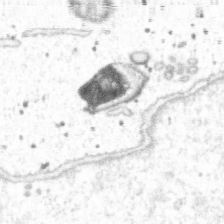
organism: Human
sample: HeLa cells